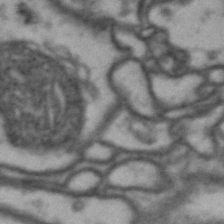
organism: Drosophila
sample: Brain